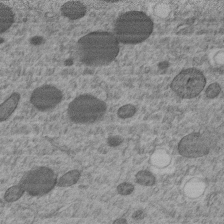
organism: C. elegans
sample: C. elegans embryo early stage